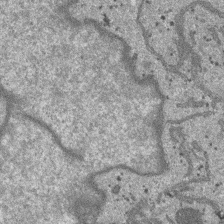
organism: Human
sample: Lung epithelial cells infected with SARS-CoV-2